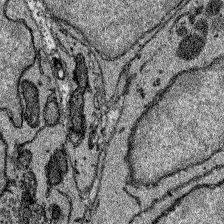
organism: Zebrafish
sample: Larval olfactory bulb